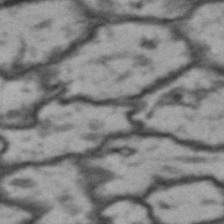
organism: Drosophila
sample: Brain